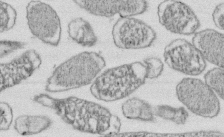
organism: E. coli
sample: Bacterial nucleoid